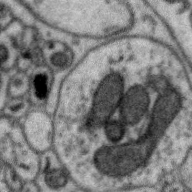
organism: Zebra finch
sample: Brain